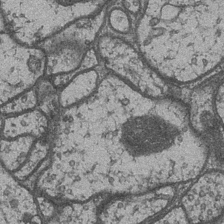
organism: Drosophila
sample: Optic medulla